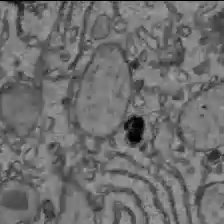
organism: C57BL Mouse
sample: Liver